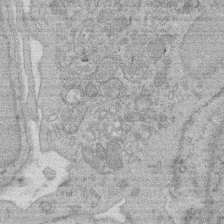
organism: Rat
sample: Salivary granule